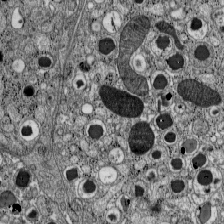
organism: C57BL Mouse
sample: Pancreatic islet